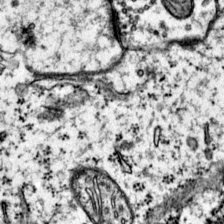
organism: Mouse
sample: Primary visual cortex